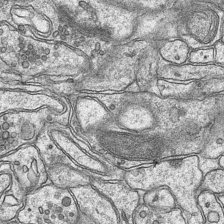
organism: Mouse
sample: CA1 Hippocampus